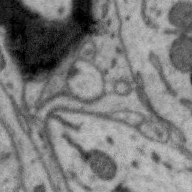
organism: Zebra finch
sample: Brain